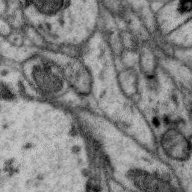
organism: Zebra finch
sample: Brain